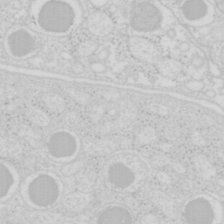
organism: Mouse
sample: Pancreas